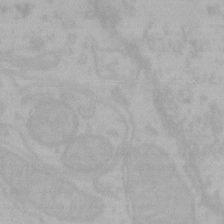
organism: Mouse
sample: Choroid plexus